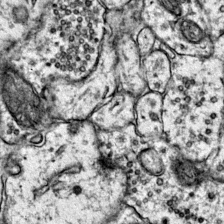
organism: Mouse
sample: Primary visual cortex